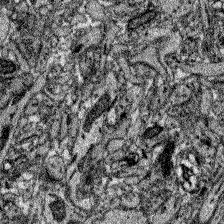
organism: Zebrafish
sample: Larval olfactory bulb